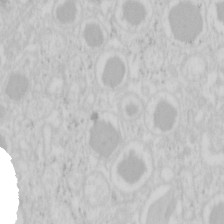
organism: Mouse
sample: Pancreas